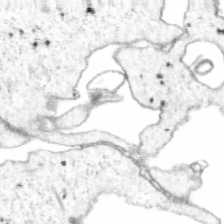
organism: Human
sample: HeLa cells